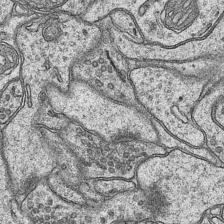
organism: Mouse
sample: CA1 Hippocampus